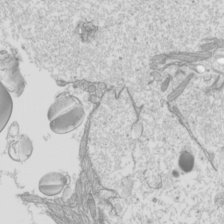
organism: Mouse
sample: Cilia; mouse epididymis